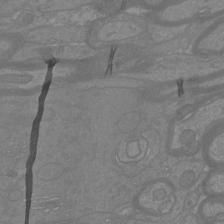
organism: Mouse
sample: Cortical neurons